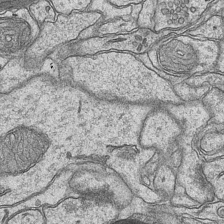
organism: Mouse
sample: CA1 Hippocampus